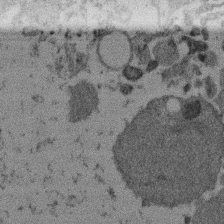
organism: Mouse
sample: Dividing mouse embryo 1 cell stage